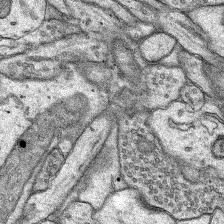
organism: Rat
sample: Hippocampus